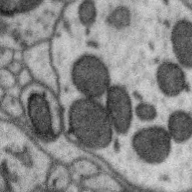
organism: Zebra finch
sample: Brain